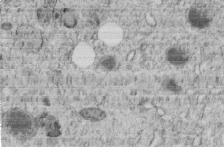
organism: C. elegans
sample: C. elegans embryo early stage